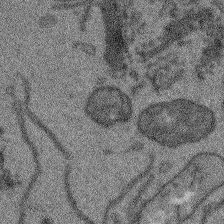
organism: Arabidopsis thaliana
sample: Root tip